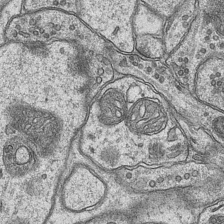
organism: Mouse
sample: CA1 Hippocampus